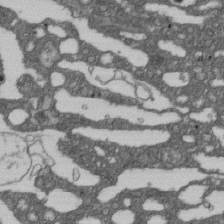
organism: Drosophila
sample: Nephrocyte